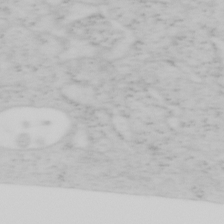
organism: Mouse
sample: OT-I killer T cells with ID8 ovarian cancer cells